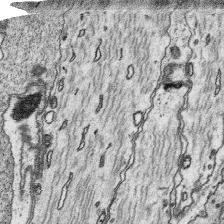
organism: Platynereis dumerilii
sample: Parapodia